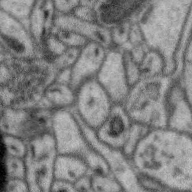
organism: Zebra finch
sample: Brain